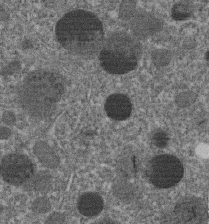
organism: C. elegans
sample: C. elegans embryo early stage